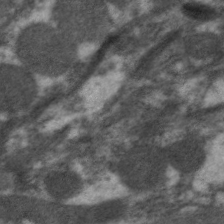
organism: C. elegans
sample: Pharynx